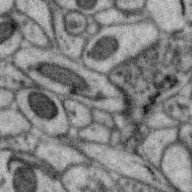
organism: Zebra finch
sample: Brain